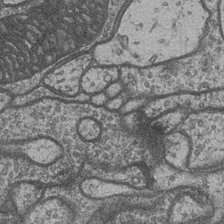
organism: Drosophila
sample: Optic medulla